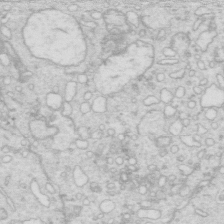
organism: Mouse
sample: Multiciliated cells